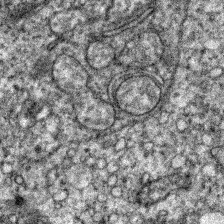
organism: Zebrafish